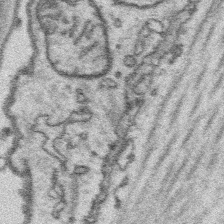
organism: Platynereis dumerilii